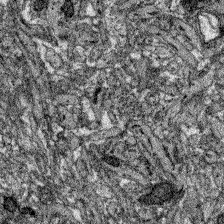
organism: Zebrafish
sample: Larval olfactory bulb